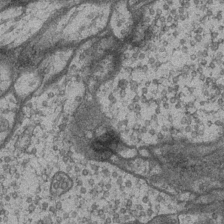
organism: Drosophila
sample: Optic medulla